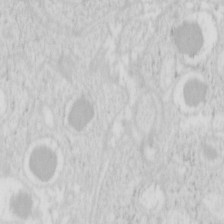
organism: Mouse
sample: Pancreas